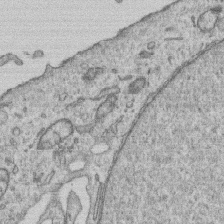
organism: Human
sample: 1205lu cells